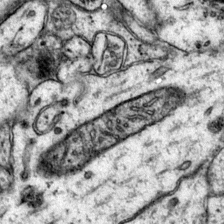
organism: Mouse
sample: Primary visual cortex